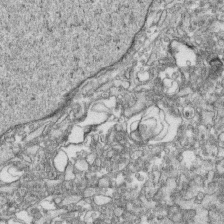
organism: Human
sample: CRL-1474